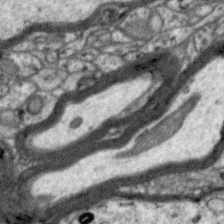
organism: Zebra finch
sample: Brain